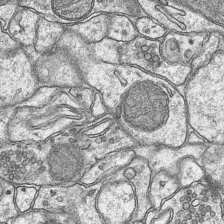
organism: Mouse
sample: CA1 Hippocampus